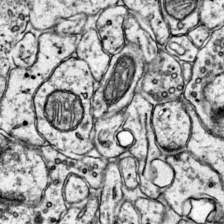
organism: Mouse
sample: Primary visual cortex